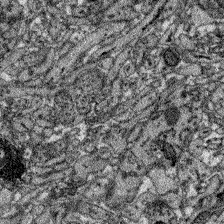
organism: Zebrafish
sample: Larval olfactory bulb